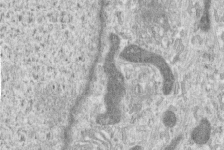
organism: Human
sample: Centriole in RPE cells